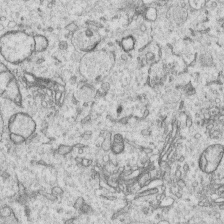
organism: Human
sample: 1205lu cells